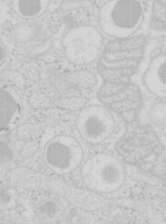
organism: Mouse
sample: Pancreas